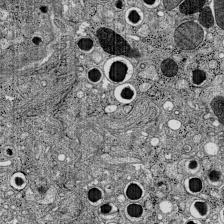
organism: C57BL Mouse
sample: Pancreatic islet